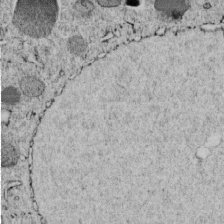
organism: C. elegans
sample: C. elegans embryo early stage